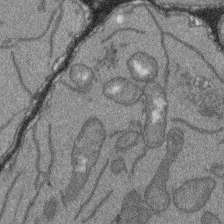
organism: Arabidopsis thaliana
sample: Root tip